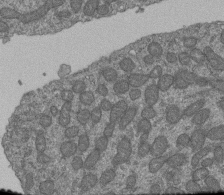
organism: Human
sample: Retinal organoid Rod and Cone cells